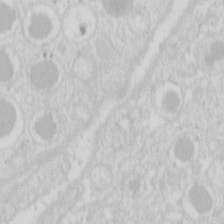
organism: Mouse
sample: Pancreas